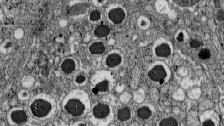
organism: C57BL Mouse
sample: Pancreatic islet